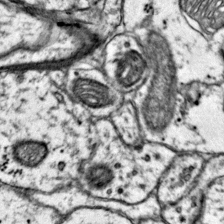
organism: Mouse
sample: Primary visual cortex